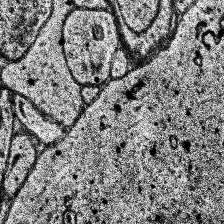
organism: Human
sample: Temporal Lobe